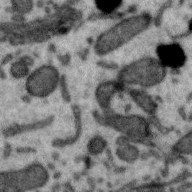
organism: Zebra finch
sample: Brain